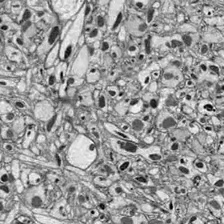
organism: Drosophila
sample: Optic lobe